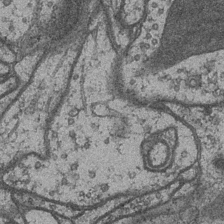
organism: Drosophila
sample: Optic medulla